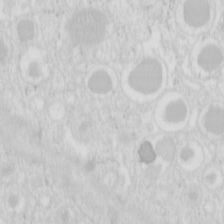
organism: Mouse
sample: Pancreas